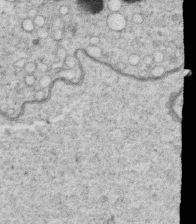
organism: C. elegans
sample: C. elegans oocyte; sperm cells